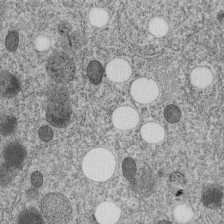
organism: C. elegans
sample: C. elegans embryo early stage